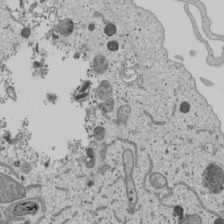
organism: Human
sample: Mitochondria in U2OS cells